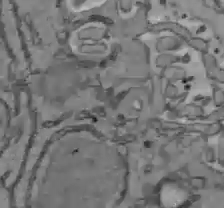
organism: C57BL Mouse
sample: Liver